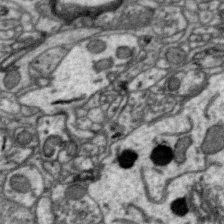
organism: Zebra finch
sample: Brain